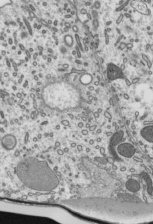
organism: Mouse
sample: Mouse epididymis efferent ductule cilia